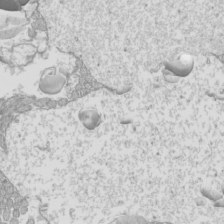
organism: Mouse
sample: Cilia; mouse epididymis